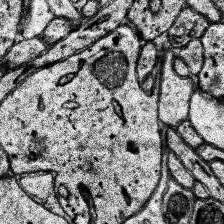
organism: Human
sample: Temporal Lobe